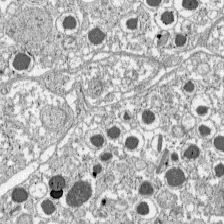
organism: C57BL Mouse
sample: Pancreatic islet